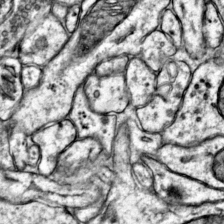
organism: Mouse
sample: Primary visual cortex